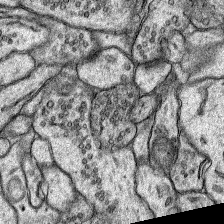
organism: Rat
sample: Hippocampus